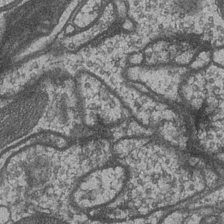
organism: Drosophila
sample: Optic medulla